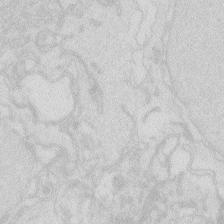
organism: Zebrafish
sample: Macrophage